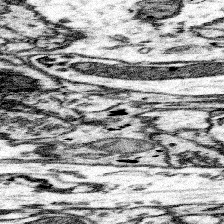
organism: Mouse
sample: Somatosensory cortex neuropil